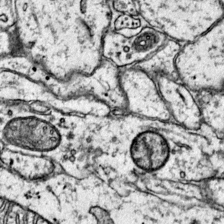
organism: Mouse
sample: Primary visual cortex